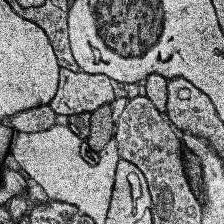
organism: Human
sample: Temporal Lobe